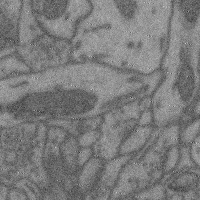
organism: Mouse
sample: Cerebral cortex